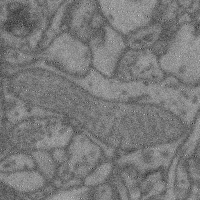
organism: Mouse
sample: Cerebral cortex